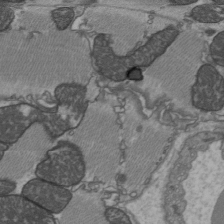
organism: C57BL Mouse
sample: Heart